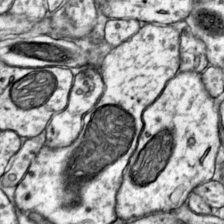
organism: Mouse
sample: Primary visual cortex